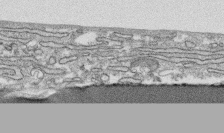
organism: Human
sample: CRL-1474